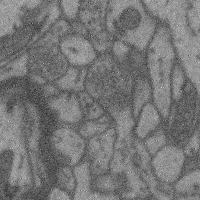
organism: Mouse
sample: Cerebral cortex